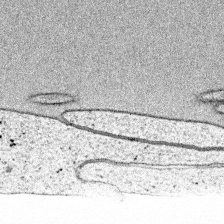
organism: Human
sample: HeLa cells